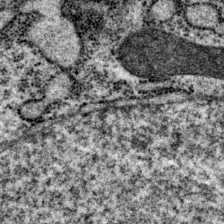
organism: P. pacificus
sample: Pharynx